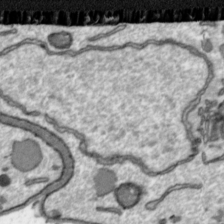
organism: Toxoplasma gondii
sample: Parasites in a vacuole inside a host cell